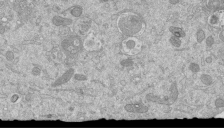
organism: Mouse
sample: ED-1 cell nuclei; centrioles